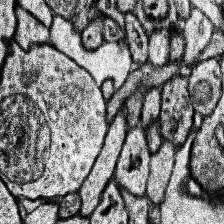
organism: Human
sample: Temporal Lobe